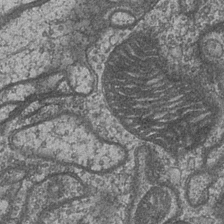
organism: Drosophila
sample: Optic medulla